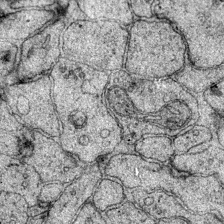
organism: Mouse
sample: Primary visual cortex